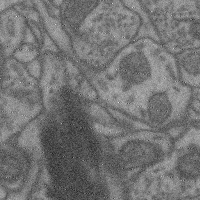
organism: Mouse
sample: Cerebral cortex